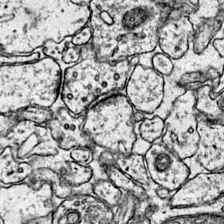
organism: Mouse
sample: Primary visual cortex